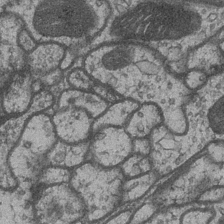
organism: Drosophila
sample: Optic medulla